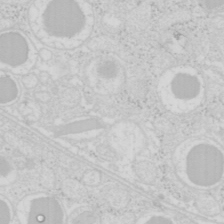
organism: Mouse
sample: Pancreas